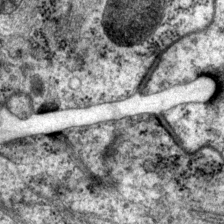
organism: P. pacificus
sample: Pharynx